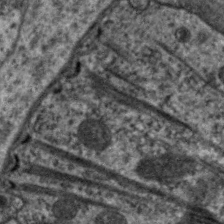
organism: C. elegans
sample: Pharynx